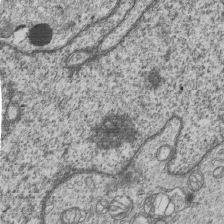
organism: Human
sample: MDA-MB-231 cells